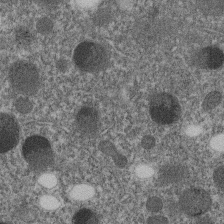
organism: C. elegans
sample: C. elegans embryo early stage